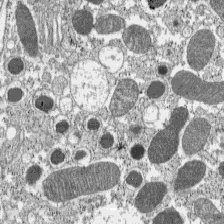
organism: C57BL Mouse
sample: Pancreatic islet